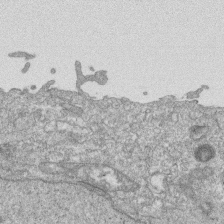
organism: Human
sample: HeLa cell HIV synapse